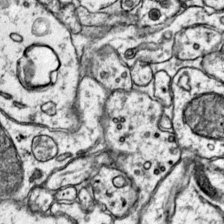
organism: Mouse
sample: Primary visual cortex